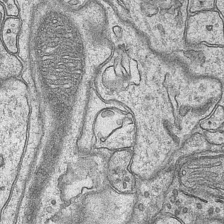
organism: Mouse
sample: CA1 Hippocampus